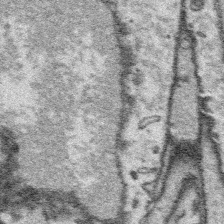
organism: Platynereis dumerilii